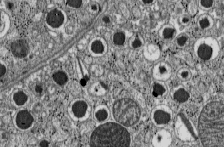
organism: C57BL Mouse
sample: Pancreatic islet